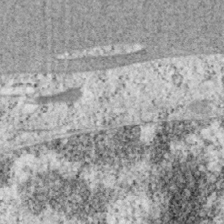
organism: Mouse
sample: OT-I killer T cells with ID8 ovarian cancer cells